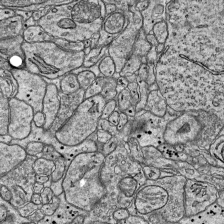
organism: Mouse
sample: Visual Cortex